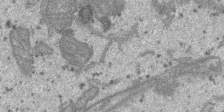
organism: Human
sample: Lung epithelial cells infected with SARS-CoV-2